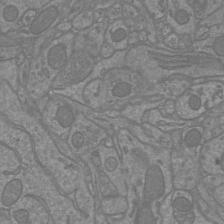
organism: Mouse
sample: Cortical neurons